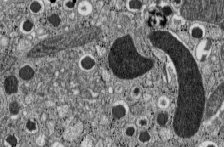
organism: C57BL Mouse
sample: Pancreatic islet